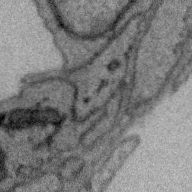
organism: Zebra finch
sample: Brain